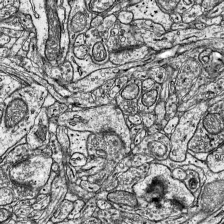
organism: Mouse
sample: Visual Cortex